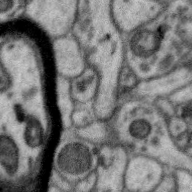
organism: Zebra finch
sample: Brain